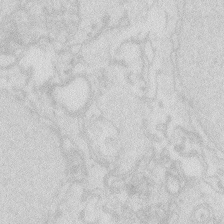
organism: Zebrafish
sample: Macrophage